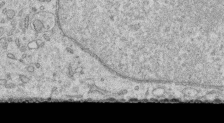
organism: Human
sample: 1205lu cells